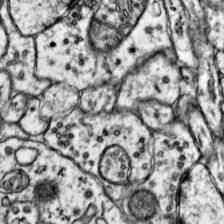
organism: Mouse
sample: Primary visual cortex